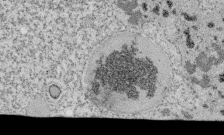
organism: Tetrahymena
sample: Cilia in tetrahymena